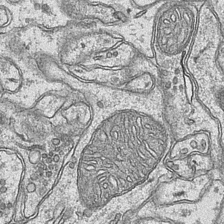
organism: Mouse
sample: CA1 Hippocampus